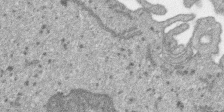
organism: Human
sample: Lung epithelial cells infected with SARS-CoV-2